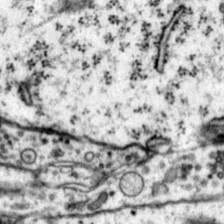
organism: Mouse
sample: Primary visual cortex